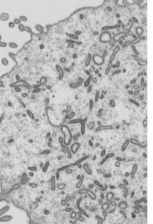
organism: Mouse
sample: Mouse epididymis efferent ductule cilia